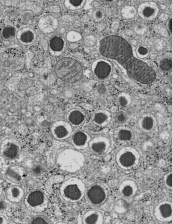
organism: C57BL Mouse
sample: Pancreatic islet